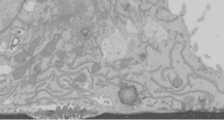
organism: Mouse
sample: Cancer cell death in ED-1 cells